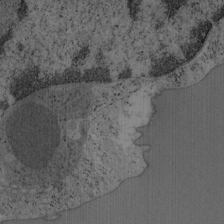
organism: Mouse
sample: OT-I killer T cells with ID8 ovarian cancer cells